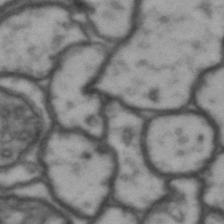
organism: Drosophila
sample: Brain